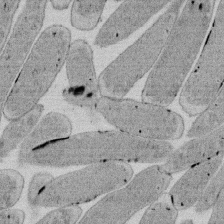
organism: E. coli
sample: Bacterial nucleoid